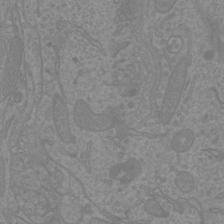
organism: Mouse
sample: Cortical neurons